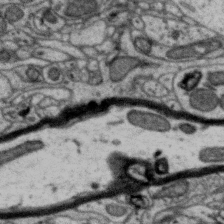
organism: Zebra finch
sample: Brain